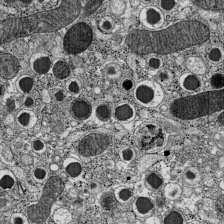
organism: C57BL Mouse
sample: Pancreatic islet